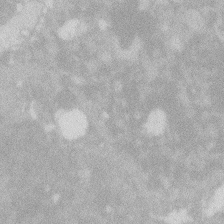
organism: Zebrafish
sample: Macrophage